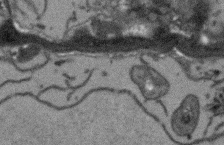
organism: Arabidopsis thaliana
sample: Root tip